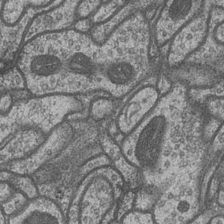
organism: Drosophila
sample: Optic medulla